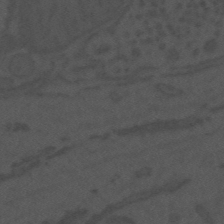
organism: Mouse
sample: Suprachiasmatic nucleus